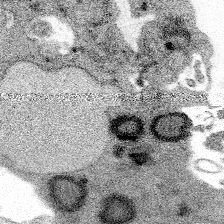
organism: Spongilla lacustris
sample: Multiple